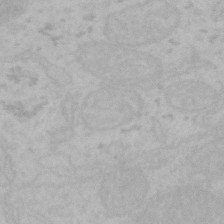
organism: Mouse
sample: Choroid plexus